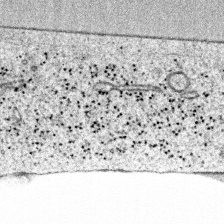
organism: Human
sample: HeLa cells